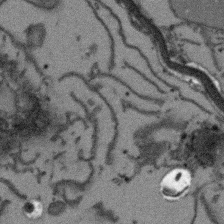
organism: Arabidopsis thaliana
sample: Root tip